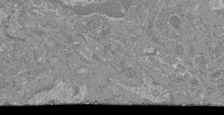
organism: Mouse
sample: Glomerulus